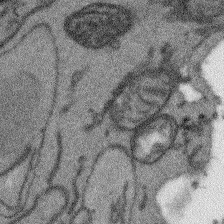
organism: Arabidopsis thaliana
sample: Root tip